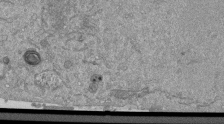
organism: Mouse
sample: ED-1 cell nuclei; centrioles